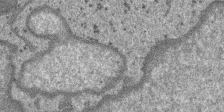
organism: Human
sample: Lung epithelial cells infected with SARS-CoV-2